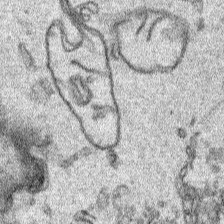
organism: Human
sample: Mitochondria in HCT116 cells